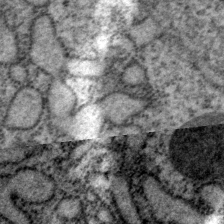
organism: P. pacificus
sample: Pharynx